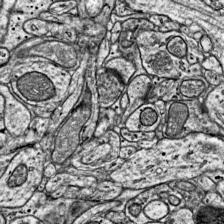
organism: Mouse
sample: Visual Cortex